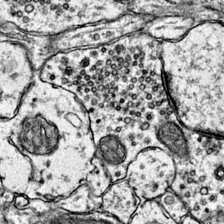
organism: Mouse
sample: Primary visual cortex